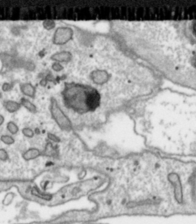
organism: Toxoplasma gondii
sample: Parasites in a vacuole inside a host cell